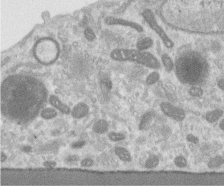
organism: Human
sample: Centriole in RPE cells